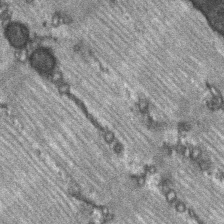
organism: C57BL Mouse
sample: Soleus